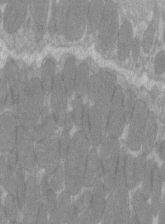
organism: C57BL Mouse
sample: Tibialis anterior muscle cell